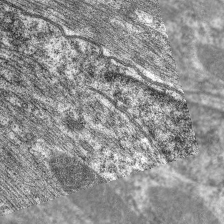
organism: C. elegans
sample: Pharynx